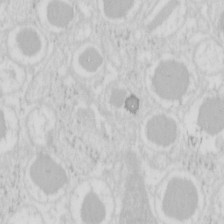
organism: Mouse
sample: Pancreas